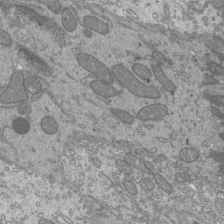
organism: Mouse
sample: Cilia; mouse epididymis